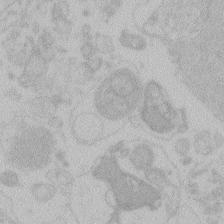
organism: Zebrafish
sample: Macrophage infected with Toxoplasma gondii